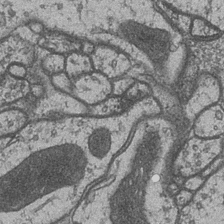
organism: Drosophila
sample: Optic medulla